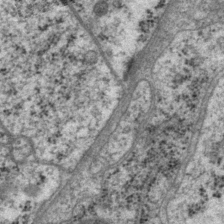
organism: P. pacificus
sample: Pharynx